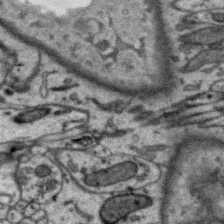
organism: Zebra finch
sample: Brain